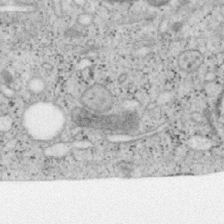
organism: Mouse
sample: OT-I killer T cells with ID8 ovarian cancer cells